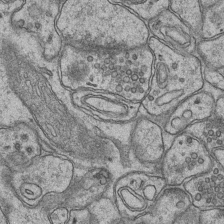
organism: Mouse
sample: CA1 Hippocampus